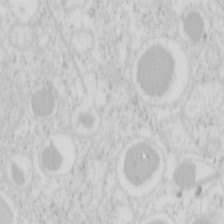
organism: Mouse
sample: Pancreas